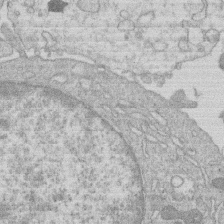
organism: Human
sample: Macrophage cells